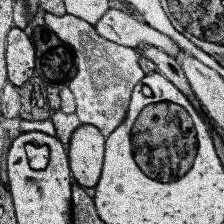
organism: Human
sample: Temporal Lobe